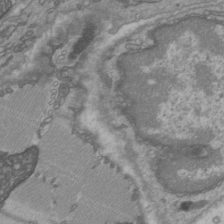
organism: C57BL Mouse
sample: Heart